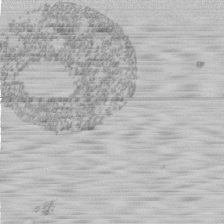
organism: Mouse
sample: Activated Pmel transgenic CD8+ T Cells